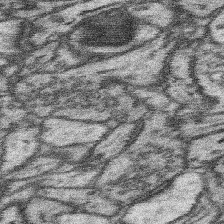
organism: Mouse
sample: Somatosensory cortex neuropil